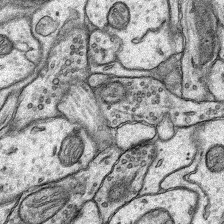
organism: Rat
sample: Hippocampus